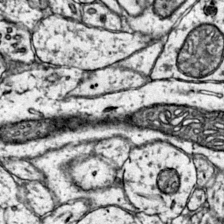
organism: Mouse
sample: Primary visual cortex